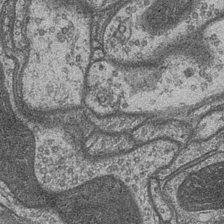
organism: Drosophila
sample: Optic medulla